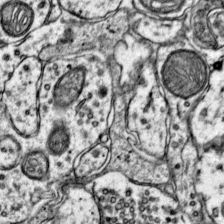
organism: Mouse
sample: Primary visual cortex